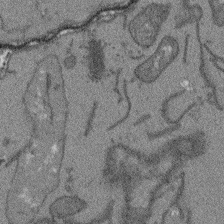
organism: Arabidopsis thaliana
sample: Root tip